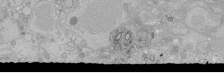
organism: Human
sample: Caco-2 cells